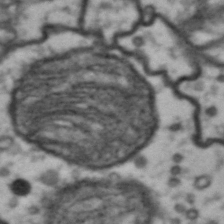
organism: Drosophila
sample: Brain